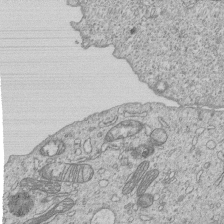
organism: Human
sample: MDA-MB-231 cells